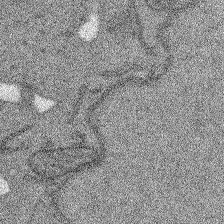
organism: Human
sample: HeLa cells